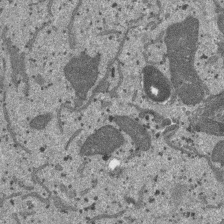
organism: Human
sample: Lung epithelial cells infected with SARS-CoV-2